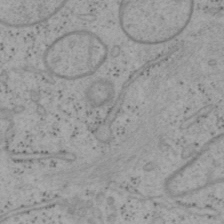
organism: Human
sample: HeLa cells